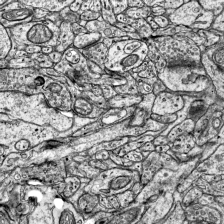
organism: Mouse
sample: Visual Cortex